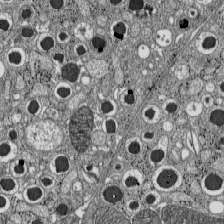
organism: C57BL Mouse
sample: Pancreatic islet